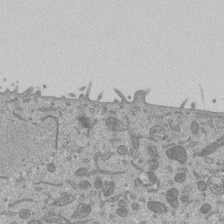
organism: Mouse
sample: ED-1 cell nuclei; centrioles